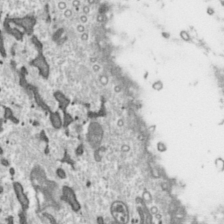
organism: Toxoplasma gondii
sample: Parasites in a vacuole inside a host cell